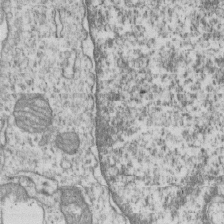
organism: Human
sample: MDA-MB-231 cells